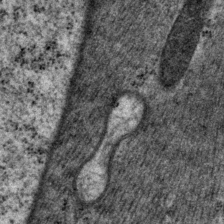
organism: P. pacificus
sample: Pharynx